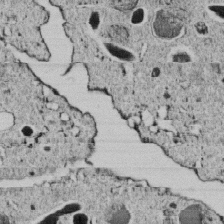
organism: C. elegans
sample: C. elegans embryo early stage